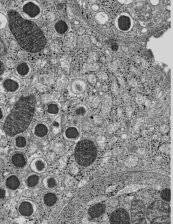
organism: C57BL Mouse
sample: Pancreatic islet